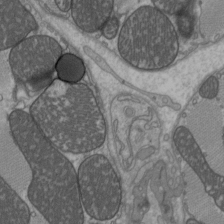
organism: C57BL Mouse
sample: Heart